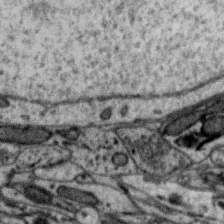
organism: Zebra finch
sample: Brain